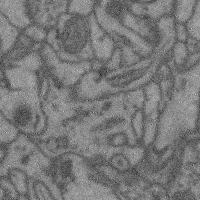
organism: Mouse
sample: Cerebral cortex